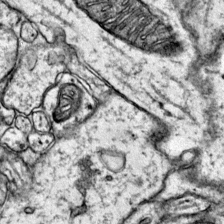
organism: Mouse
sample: Primary visual cortex